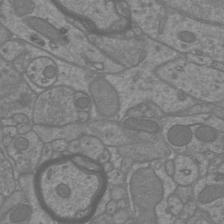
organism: Mouse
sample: Cortical neurons